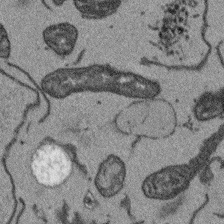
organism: Arabidopsis thaliana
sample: Root tip